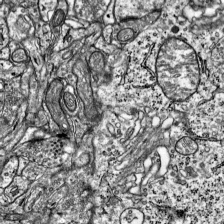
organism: Mouse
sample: Visual Cortex